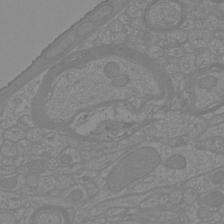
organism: Mouse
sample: Cortical neurons